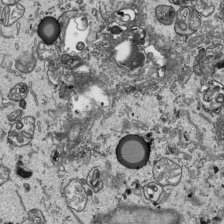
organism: Human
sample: Mitochondria in HCT116 cells